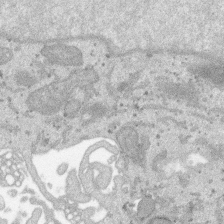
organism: Human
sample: Lung epithelial cells infected with SARS-CoV-2